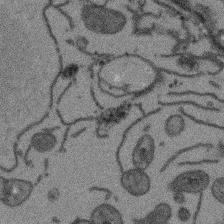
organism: Arabidopsis thaliana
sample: Root tip